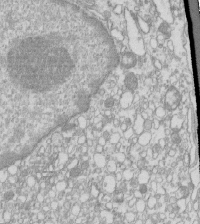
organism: Mouse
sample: Macrophages